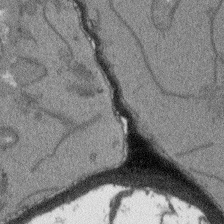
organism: Arabidopsis thaliana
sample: Root tip